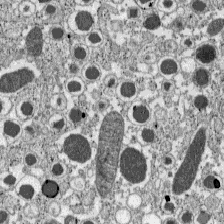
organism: C57BL Mouse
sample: Pancreatic islet